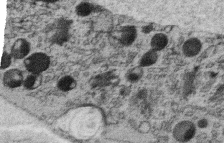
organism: C. elegans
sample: C. elegans oocyte; sperm cells